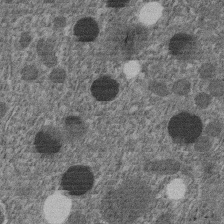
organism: C. elegans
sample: C. elegans embryo early stage